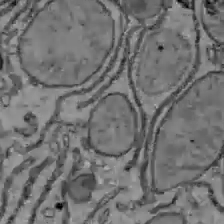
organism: C57BL Mouse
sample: Liver